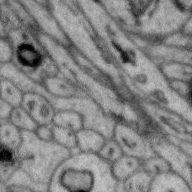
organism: Zebra finch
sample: Brain